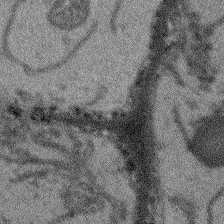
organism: Arabidopsis thaliana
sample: Root tip